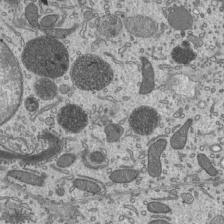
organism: Mouse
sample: Mouse epididymis efferent ductule cilia